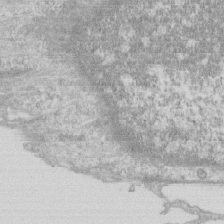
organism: Human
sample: CRL-1474